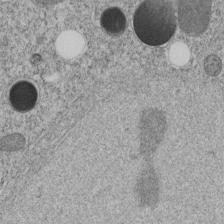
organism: C. elegans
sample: C. elegans embryo early stage